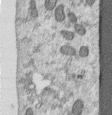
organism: Human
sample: Centriole in RPE cells